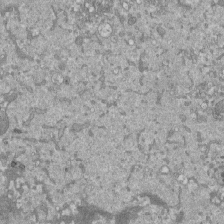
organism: Mouse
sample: ED-1 cell nuclei; centrioles